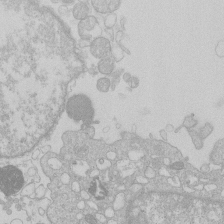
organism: Human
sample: Macrophage cells